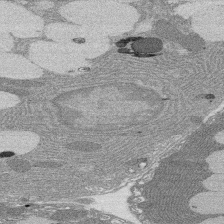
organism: Rat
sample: Salivary granule